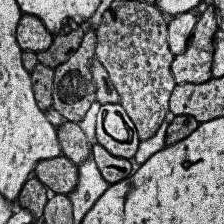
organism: Human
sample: Temporal Lobe